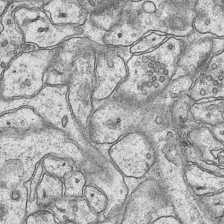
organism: Mouse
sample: CA1 Hippocampus